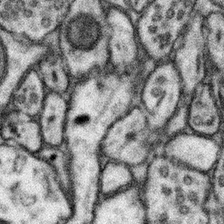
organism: Mouse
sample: Somatosensory cortex neuropil